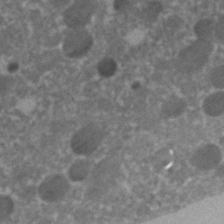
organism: C. elegans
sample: C. elegans embryo